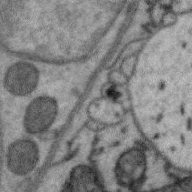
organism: Zebra finch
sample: Brain